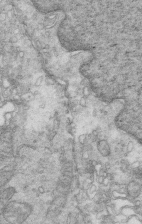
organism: Mouse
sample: Multiciliated cells